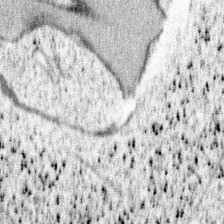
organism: Human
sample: HeLa cells